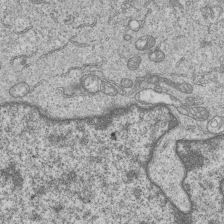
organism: Human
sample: MDA-MB-231 cells